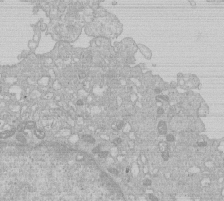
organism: Human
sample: Macrophage cells